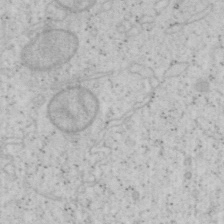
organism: Human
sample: HeLa cells